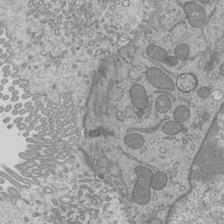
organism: Mouse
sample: Cilia; mouse epididymis